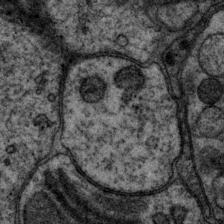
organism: P. pacificus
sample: Pharynx